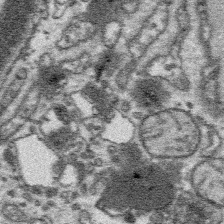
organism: Platynereis dumerilii